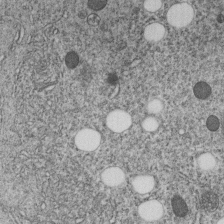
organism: C. elegans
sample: C. elegans embryo early stage